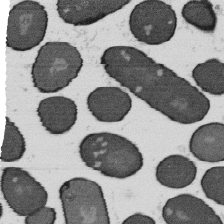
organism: B. subtilis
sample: Bacterial spore